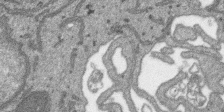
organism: Human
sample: Lung epithelial cells infected with SARS-CoV-2